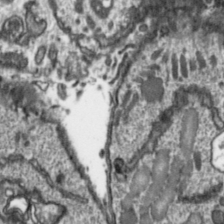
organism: Toxoplasma gondii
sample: Parasites in a vacuole inside a host cell